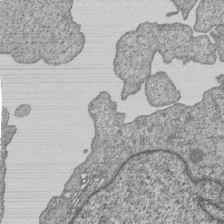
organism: Human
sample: MDA-MB-231 cells